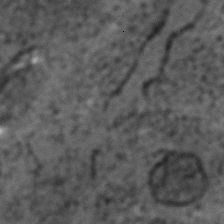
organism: C. elegans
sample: C. elegans embryo